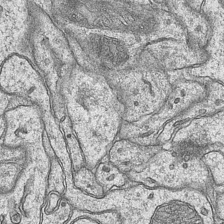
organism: Mouse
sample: CA1 Hippocampus